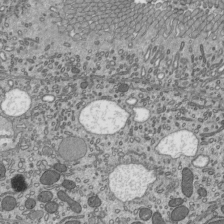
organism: Mouse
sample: Mouse epididymis efferent ductule cilia